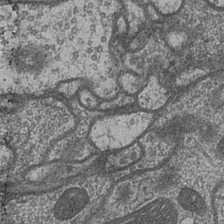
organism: Drosophila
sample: Optic medulla